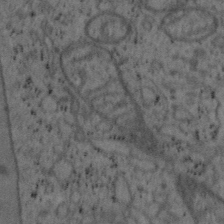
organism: Human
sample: HeLa cells